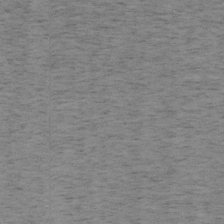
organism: Mouse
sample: OT-I killer T cells with ID8 ovarian cancer cells